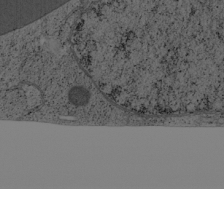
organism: African green monkey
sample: COS-7 cells